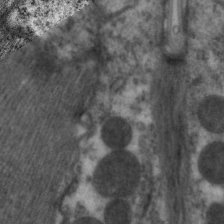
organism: C. elegans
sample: Pharynx